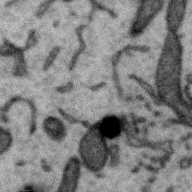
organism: Zebra finch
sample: Brain